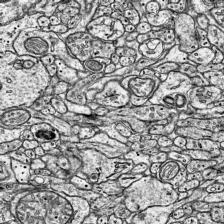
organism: Mouse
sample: Visual Cortex